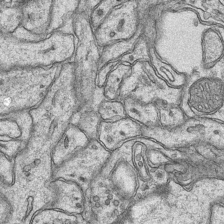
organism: Mouse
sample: CA1 Hippocampus